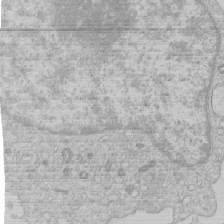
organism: Human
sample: Macrophage cells